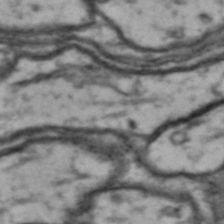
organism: Drosophila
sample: Brain